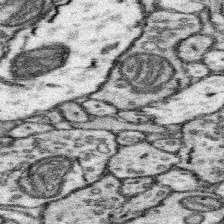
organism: Mouse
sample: Somatosensory cortex neuropil